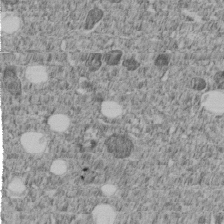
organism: C. elegans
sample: C. elegans embryo early stage